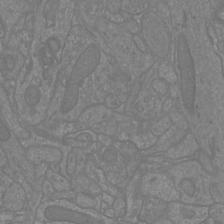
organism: Mouse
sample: Cortical neurons